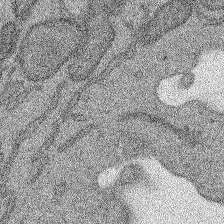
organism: Human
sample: HeLa cells